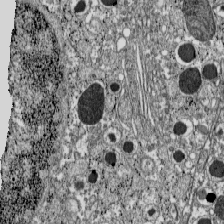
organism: C57BL Mouse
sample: Pancreatic islet